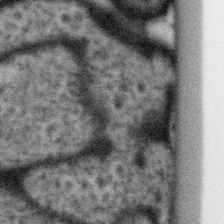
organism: Gemmata obscuriglobus